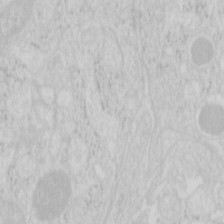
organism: Mouse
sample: Pancreas